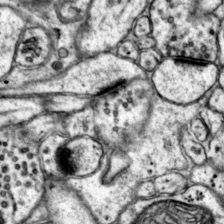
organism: Mouse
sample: Primary visual cortex